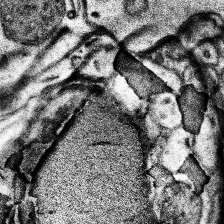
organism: Human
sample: Temporal Lobe